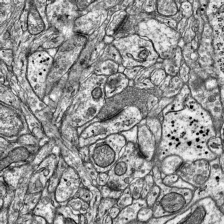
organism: Mouse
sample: Visual Cortex